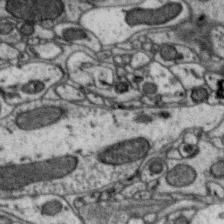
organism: Zebra finch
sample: Brain